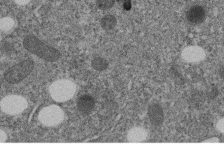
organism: C. elegans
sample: C. elegans embryo early stage